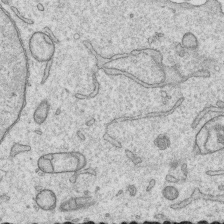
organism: Human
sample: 1205lu cells